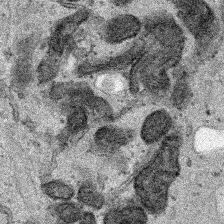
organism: Human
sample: Mitochondria in HCT116 cells